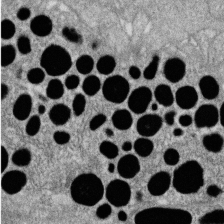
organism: Zebrafish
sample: Cilia; retinal pigment epithelium